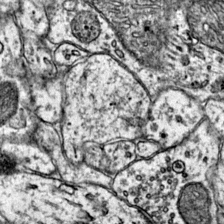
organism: Mouse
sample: Primary visual cortex